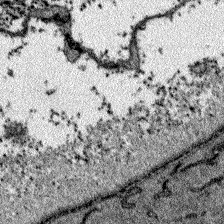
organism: Zebrafish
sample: Larval olfactory bulb